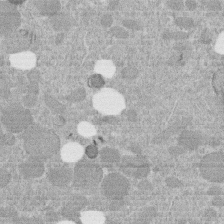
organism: C. elegans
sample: C. elegans embryo early stage